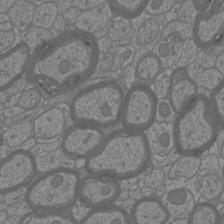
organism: Mouse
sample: Cortical neurons